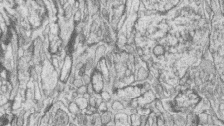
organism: Zebrafish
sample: synaptic ribbons in rod cells and cone cells